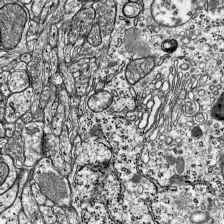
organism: Mouse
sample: Visual Cortex